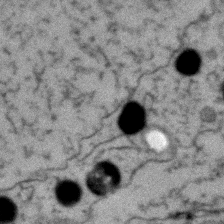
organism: Zebrafish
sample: Zebrafish embryo